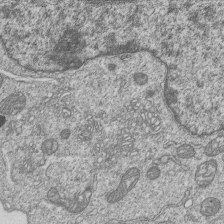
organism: Human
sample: MDA-MB-231 cells